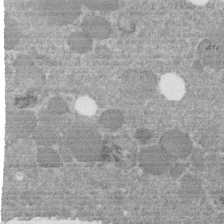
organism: C. elegans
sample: C. elegans embryo early stage